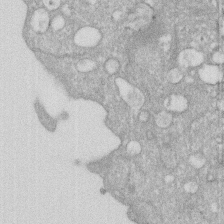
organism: Human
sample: HIV infected U937 cells